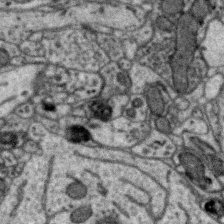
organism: Zebra finch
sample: Brain